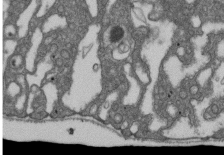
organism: Drosophila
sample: Nephrocyte